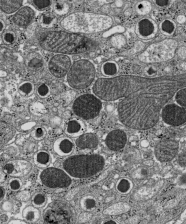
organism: C57BL Mouse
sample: Pancreatic islet